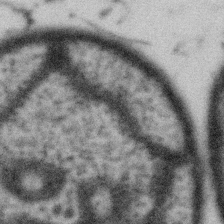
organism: Gemmata obscuriglobus